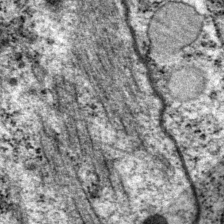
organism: P. pacificus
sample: Pharynx